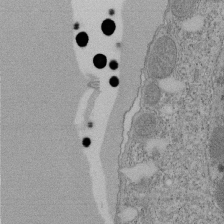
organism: Tetrahymena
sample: Cilia in tetrahymena